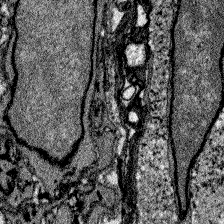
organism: Zebrafish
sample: Larval olfactory bulb